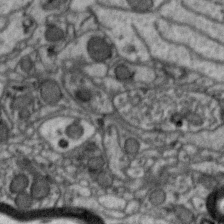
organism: Zebra finch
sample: Brain